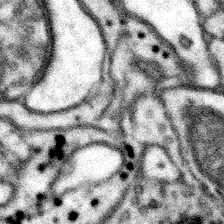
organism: Mouse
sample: Somatosensory cortex neuropil